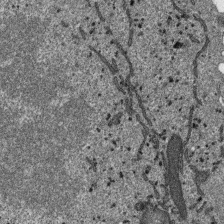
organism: Human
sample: Lung epithelial cells infected with SARS-CoV-2